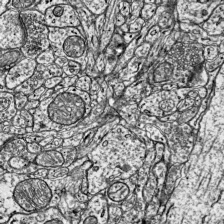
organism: Mouse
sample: Visual Cortex